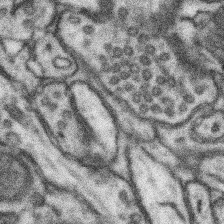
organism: Mouse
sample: Somatosensory cortex neuropil